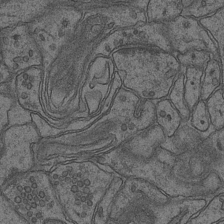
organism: Mouse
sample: CA1 Hippocampus